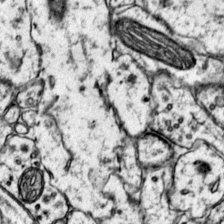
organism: Mouse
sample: Primary visual cortex